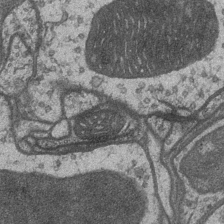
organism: Drosophila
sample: Optic medulla